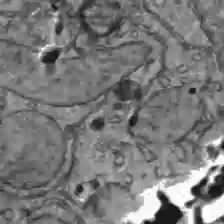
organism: C57BL Mouse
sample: Liver